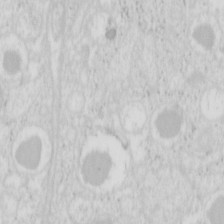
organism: Mouse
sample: Pancreas